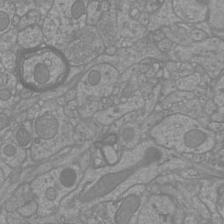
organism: Mouse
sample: Cortical neurons